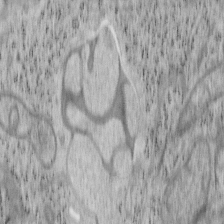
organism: Human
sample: HeLa cells